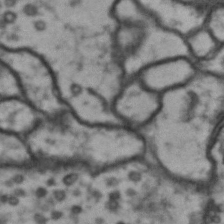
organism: Drosophila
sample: Brain